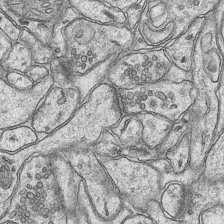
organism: Mouse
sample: CA1 Hippocampus